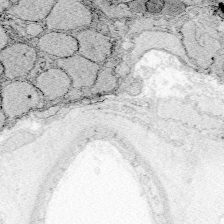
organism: Zebrafish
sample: Whole-Brain